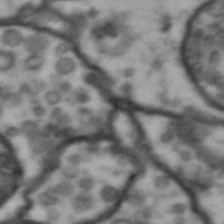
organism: Drosophila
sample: Brain